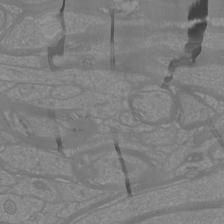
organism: Mouse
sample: Cortical neurons